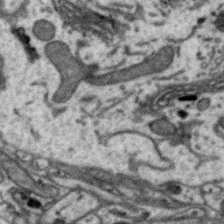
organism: Zebra finch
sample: Brain